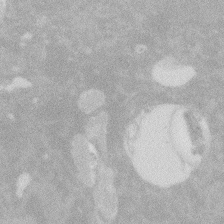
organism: Zebrafish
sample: Macrophage